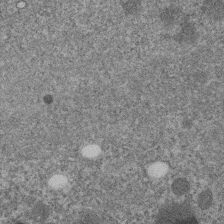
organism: C. elegans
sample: C. elegans embryo early stage